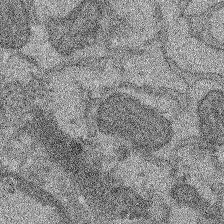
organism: Human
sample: HeLa cells